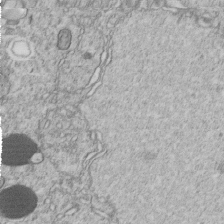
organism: C. elegans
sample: C. elegans embryo early stage